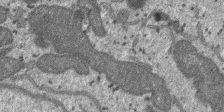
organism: Human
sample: Lung epithelial cells infected with SARS-CoV-2